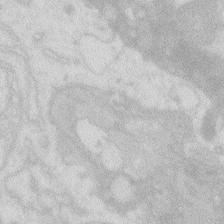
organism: Zebrafish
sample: Macrophage